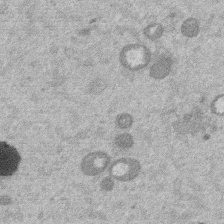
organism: Mouse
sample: Dividing mouse embryo 1 cell stage